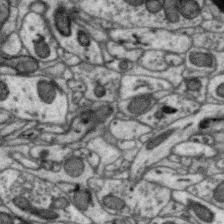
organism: Zebra finch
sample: Brain